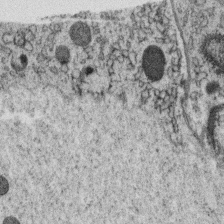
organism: C. elegans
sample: C. elegans oocyte; sperm cells